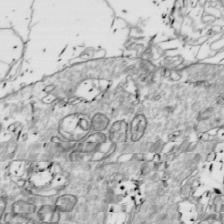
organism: Drosophila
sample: Cell division; meiosis; drosophila spermatocytes